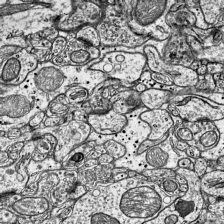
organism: Mouse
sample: Visual Cortex